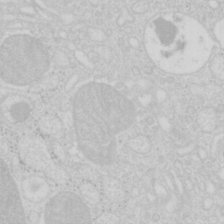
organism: Mouse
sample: Pancreas